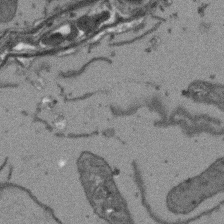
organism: Arabidopsis thaliana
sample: Root tip